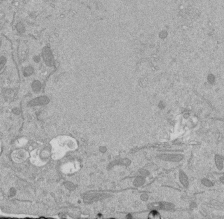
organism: Mouse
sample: ED-1 cell nuclei; centrioles